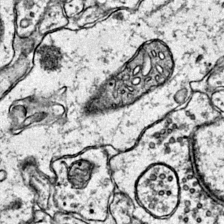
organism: Mouse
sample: Primary visual cortex